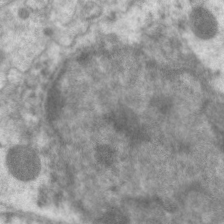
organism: C. elegans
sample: Pharynx